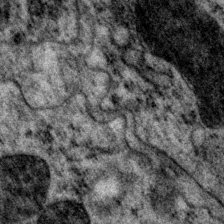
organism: P. pacificus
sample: Pharynx